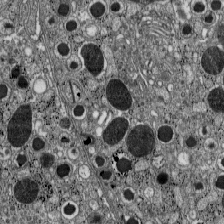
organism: C57BL Mouse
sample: Pancreatic islet